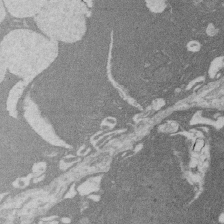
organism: Rat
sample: Salivary granule